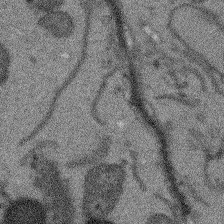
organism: Arabidopsis thaliana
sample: Root tip